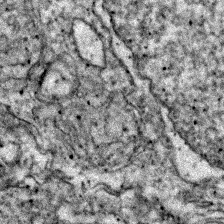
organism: Zebrafish